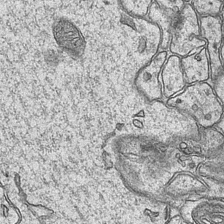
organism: Mouse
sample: CA1 Hippocampus